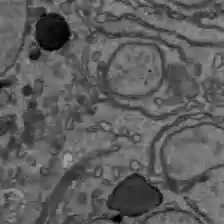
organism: C57BL Mouse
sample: Liver